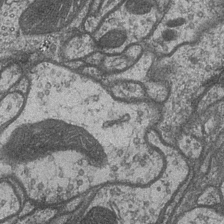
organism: Drosophila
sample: Optic medulla